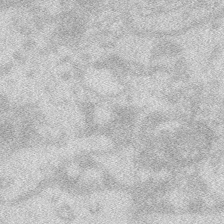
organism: Zebrafish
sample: Macrophage